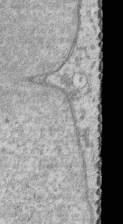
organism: Human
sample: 1205lu cells